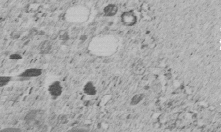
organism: C. elegans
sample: C. elegans embryo early stage